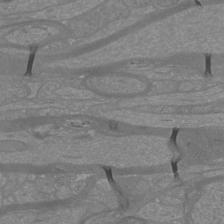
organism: Mouse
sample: Cortical neurons